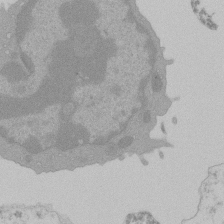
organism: Mouse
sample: Activated Pmel transgenic CD8+ T Cells